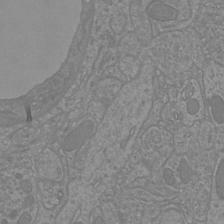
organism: Mouse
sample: Cortical neurons